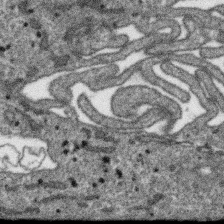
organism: Human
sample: Lung epithelial cells infected with SARS-CoV-2